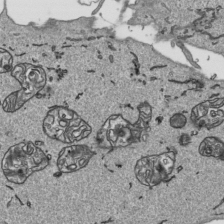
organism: Human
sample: Mitochondria in HCT116 cells